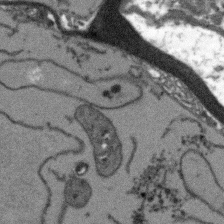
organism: Arabidopsis thaliana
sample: Root tip